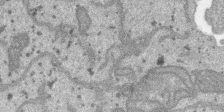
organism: Human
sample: Lung epithelial cells infected with SARS-CoV-2